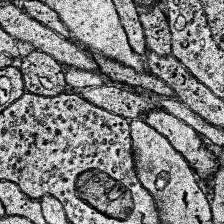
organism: Human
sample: Temporal Lobe